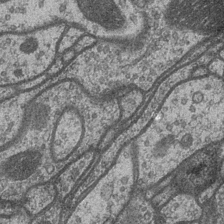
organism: Drosophila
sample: Optic medulla